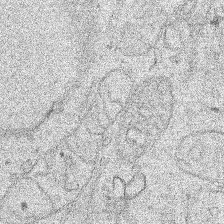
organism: Human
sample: Mitochondria in HCT116 cells